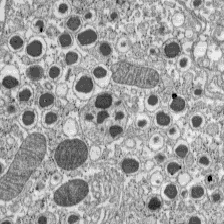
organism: C57BL Mouse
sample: Pancreatic islet